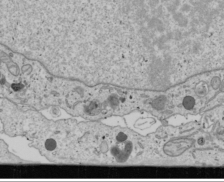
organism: Human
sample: Mitochondria in U2OS cells